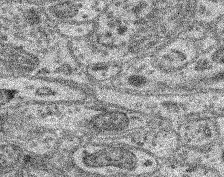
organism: Mouse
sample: Retina